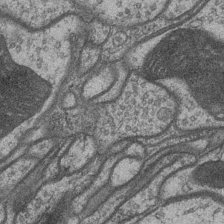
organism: Drosophila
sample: Optic medulla